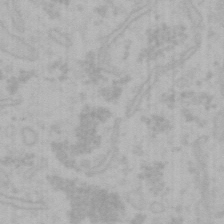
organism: Mouse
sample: Choroid plexus